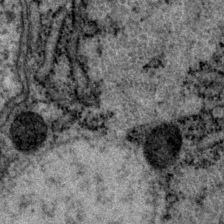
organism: P. pacificus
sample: Pharynx